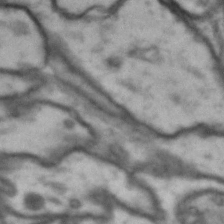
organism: Drosophila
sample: Brain